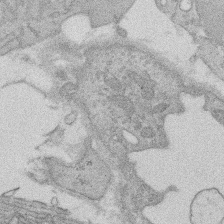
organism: Rat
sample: Salivary granule